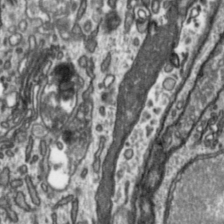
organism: Toxoplasma gondii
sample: Parasites in a vacuole inside a host cell